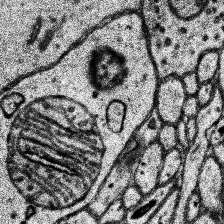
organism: Human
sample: Temporal Lobe